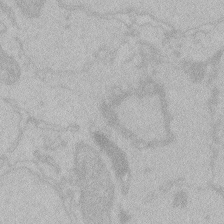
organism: Zebrafish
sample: Macrophage infected with Toxoplasma gondii